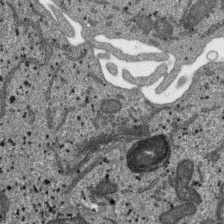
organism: Human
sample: Lung epithelial cells infected with SARS-CoV-2